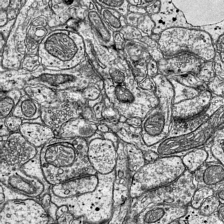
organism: Mouse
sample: Visual Cortex